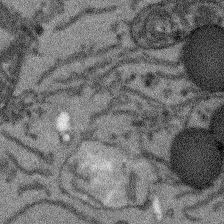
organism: Arabidopsis thaliana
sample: Root tip